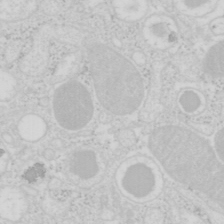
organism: Mouse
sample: Pancreas